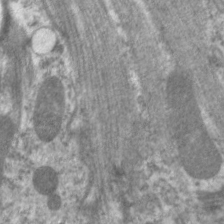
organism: C. elegans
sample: Pharynx